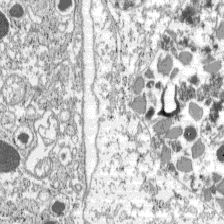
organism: C57BL Mouse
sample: Pancreatic islet